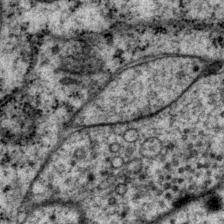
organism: P. pacificus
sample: Pharynx